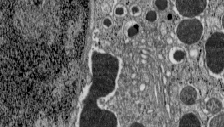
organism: C57BL Mouse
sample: Pancreatic islet